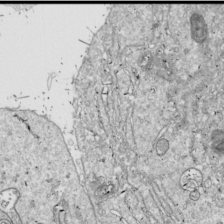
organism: Drosophila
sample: Cell division; meiosis; drosophila spermatocytes